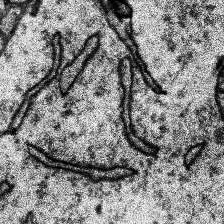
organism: Human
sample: Temporal Lobe